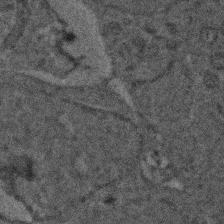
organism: Zebrafish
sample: Zebrafish embryo